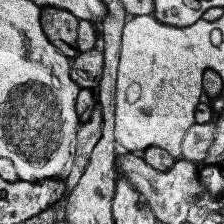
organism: Human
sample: Temporal Lobe